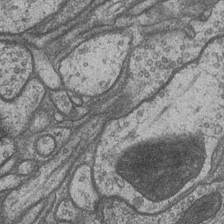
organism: Drosophila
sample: Optic medulla